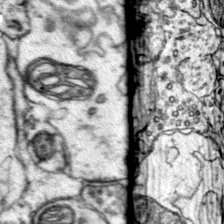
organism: Mouse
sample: Primary visual cortex